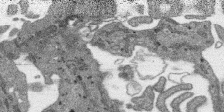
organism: Human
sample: Lung epithelial cells infected with SARS-CoV-2